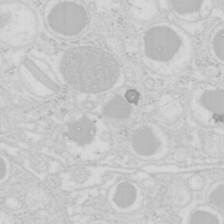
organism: Mouse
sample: Pancreas